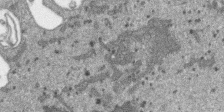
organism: Human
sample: Lung epithelial cells infected with SARS-CoV-2